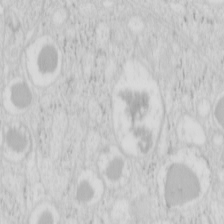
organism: Mouse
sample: Pancreas